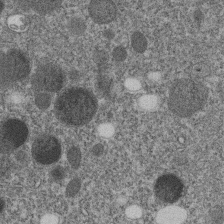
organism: C. elegans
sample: C. elegans embryo early stage